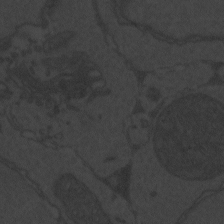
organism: Zebrafish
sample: Macrophage infected with Toxoplasma gondii